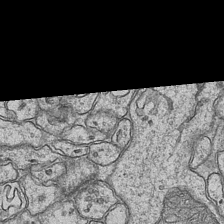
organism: Mouse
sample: CA1 Hippocampus